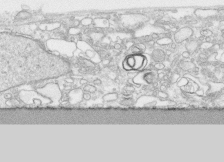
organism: Human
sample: CRL-1474